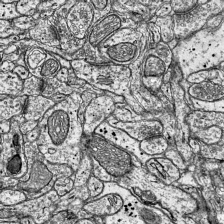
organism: Mouse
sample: Visual Cortex